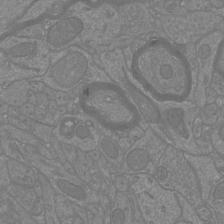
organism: Mouse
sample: Cortical neurons